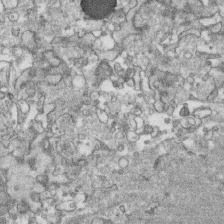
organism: Human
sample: CRL-1474